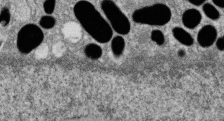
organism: Zebrafish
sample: Cilia; retinal pigment epithelium